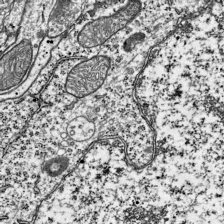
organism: Mouse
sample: Visual Cortex